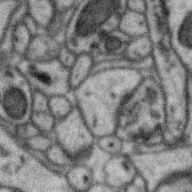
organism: Zebra finch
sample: Brain